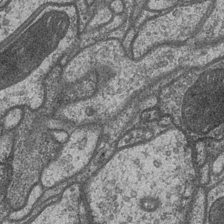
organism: Drosophila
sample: Optic medulla